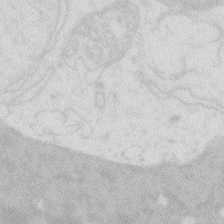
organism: Zebrafish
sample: Macrophage